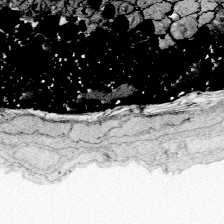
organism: Zebrafish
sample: Whole-Brain